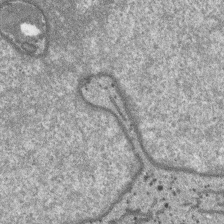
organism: Human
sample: Lung epithelial cells infected with SARS-CoV-2